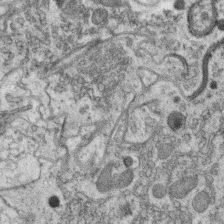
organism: C. elegans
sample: C. elegans oocyte; sperm cells